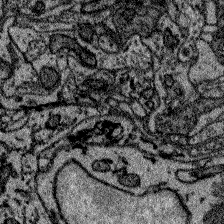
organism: Zebrafish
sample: Larval olfactory bulb